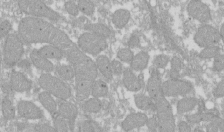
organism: Xenopus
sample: Cilia; centrioles in frog embryo cells